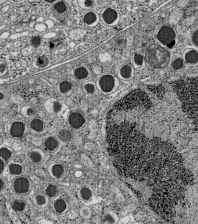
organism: C57BL Mouse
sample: Pancreatic islet